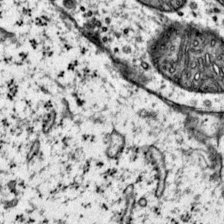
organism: Mouse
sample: Primary visual cortex